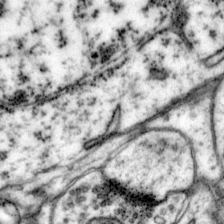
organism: Mouse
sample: Primary visual cortex